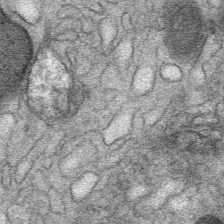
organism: Mouse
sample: Mouse Salivary gland